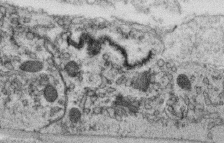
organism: C. elegans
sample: C. elegans oocyte; sperm cells